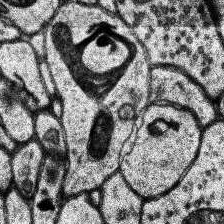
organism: Human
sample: Temporal Lobe